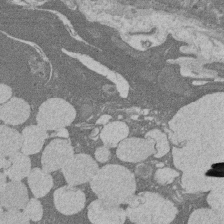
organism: Rat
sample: Salivary granule